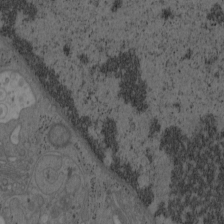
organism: Mouse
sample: OT-I killer T cells with ID8 ovarian cancer cells